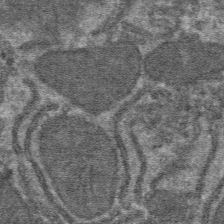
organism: Mouse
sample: Mouse hepatocytes